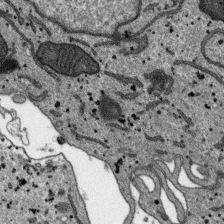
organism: Human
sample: Lung epithelial cells, uninfected (mock) control